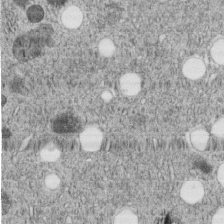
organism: C. elegans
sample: C. elegans embryo early stage